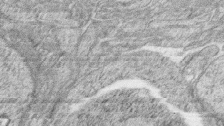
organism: Zebrafish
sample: synaptic ribbons in rod cells and cone cells